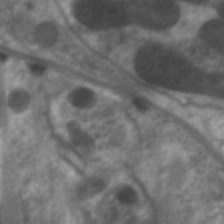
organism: C. elegans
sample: Pharynx